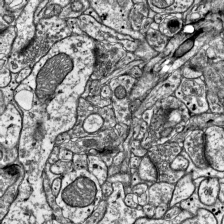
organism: Mouse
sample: Visual Cortex